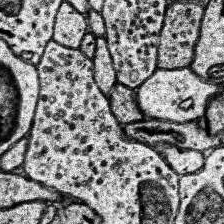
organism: Human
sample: Temporal Lobe